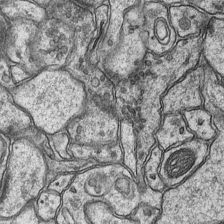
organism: Mouse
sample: CA1 Hippocampus